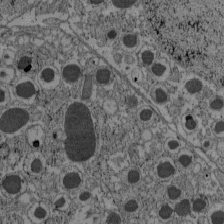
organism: C57BL Mouse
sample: Pancreatic islet